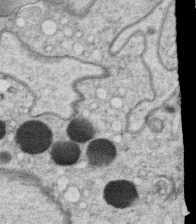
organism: C. elegans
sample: C. elegans oocyte; sperm cells